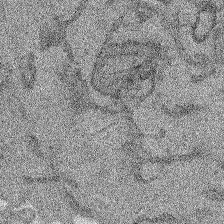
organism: Human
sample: HeLa cells